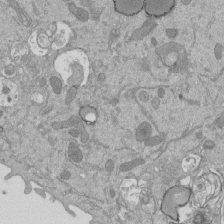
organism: Mouse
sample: ED-1 cell nuclei; centrioles